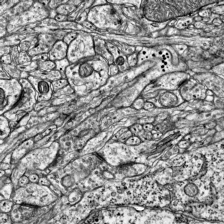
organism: Mouse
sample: Visual Cortex